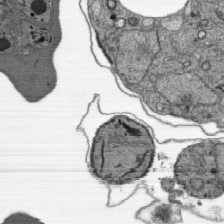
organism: Plasmodium falciparum